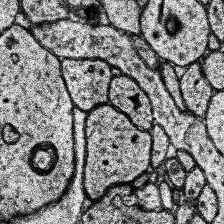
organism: Human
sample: Temporal Lobe